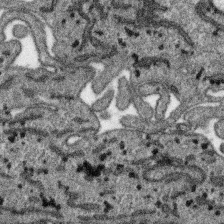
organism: Human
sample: Lung epithelial cells infected with SARS-CoV-2